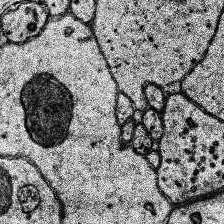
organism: Human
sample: Temporal Lobe